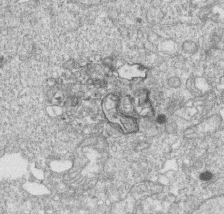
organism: Human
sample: HeLa cell HIV synapse